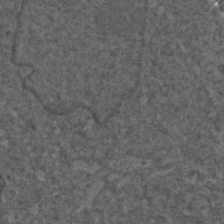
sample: Trachea